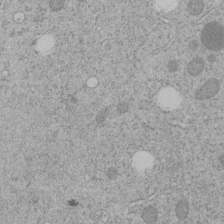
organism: C. elegans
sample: C. elegans embryo early stage